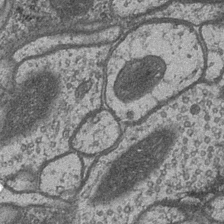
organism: Drosophila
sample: Optic medulla